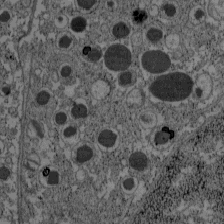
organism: C57BL Mouse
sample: Pancreatic islet